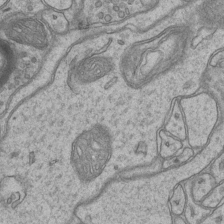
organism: Mouse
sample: CA1 Hippocampus